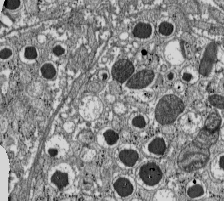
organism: C57BL Mouse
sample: Pancreatic islet